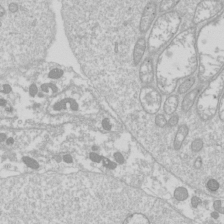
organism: Drosophila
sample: Cell division; meiosis; drosophila spermatocytes